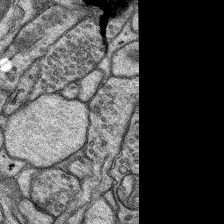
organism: Rat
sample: Hippocampus